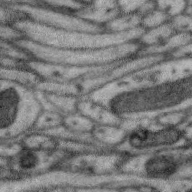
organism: Zebra finch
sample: Brain